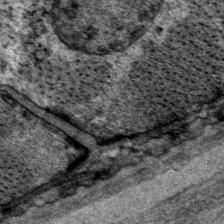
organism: P. pacificus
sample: Pharynx